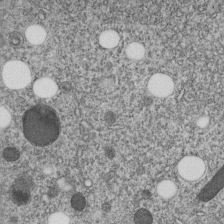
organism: C. elegans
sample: C. elegans embryo early stage